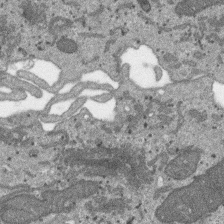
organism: Human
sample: Lung epithelial cells infected with SARS-CoV-2